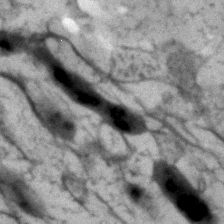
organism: Human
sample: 1205lu cells